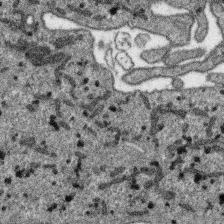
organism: Human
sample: Lung epithelial cells infected with SARS-CoV-2